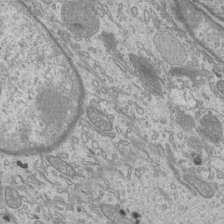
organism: Mouse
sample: Cilia; mouse epididymis